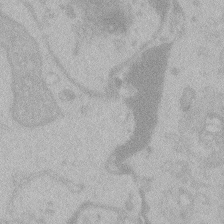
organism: Zebrafish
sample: Macrophage infected with Toxoplasma gondii